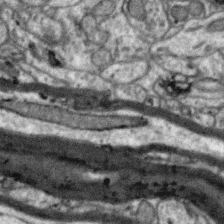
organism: Zebra finch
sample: Brain